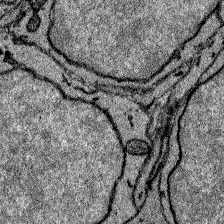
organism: Zebrafish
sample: Larval olfactory bulb